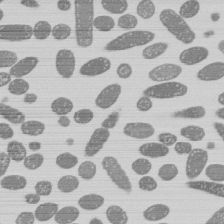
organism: E. coli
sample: Bacterial nucleoid